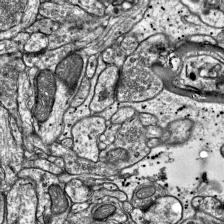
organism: Mouse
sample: Visual Cortex